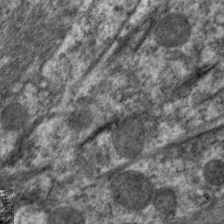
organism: C. elegans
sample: Pharynx